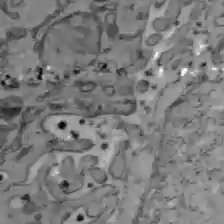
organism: C57BL Mouse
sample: Liver